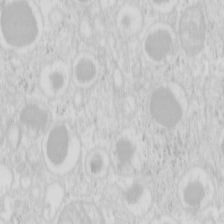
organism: Mouse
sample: Pancreas